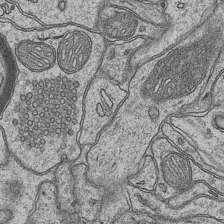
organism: Mouse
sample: CA1 Hippocampus